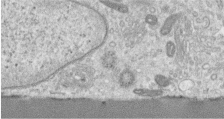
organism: Human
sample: Centriole in RPE cells